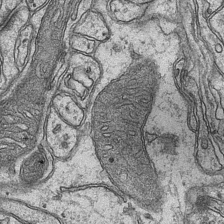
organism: Mouse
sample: CA1 Hippocampus